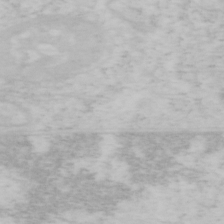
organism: Mouse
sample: OT-I killer T cells with ID8 ovarian cancer cells